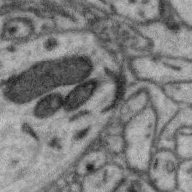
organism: Zebra finch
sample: Brain